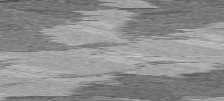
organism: C57BL Mouse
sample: Heart